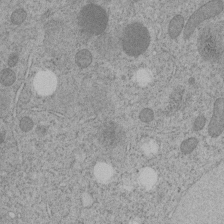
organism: C. elegans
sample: C. elegans embryo early stage